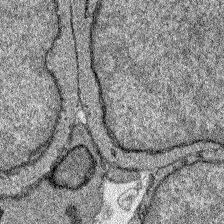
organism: Zebrafish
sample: Larval olfactory bulb